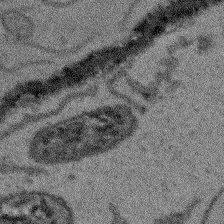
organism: Arabidopsis thaliana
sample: Root tip